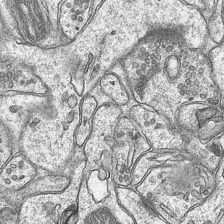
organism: Mouse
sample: CA1 Hippocampus